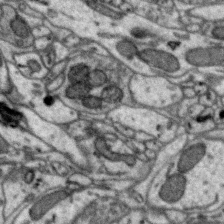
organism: Zebra finch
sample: Brain